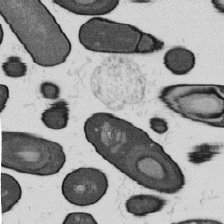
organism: B. subtilis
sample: Bacterial spore